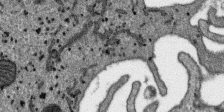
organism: Human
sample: Lung epithelial cells, uninfected (mock) control